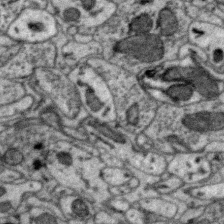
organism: Zebra finch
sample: Brain